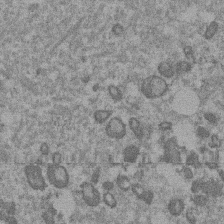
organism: Mouse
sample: Dividing mouse embryo 1 cell stage